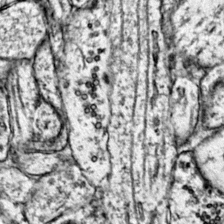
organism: Mouse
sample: Primary visual cortex